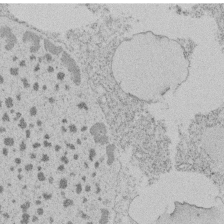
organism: Tetrahymena